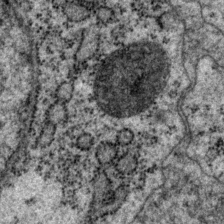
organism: P. pacificus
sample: Pharynx